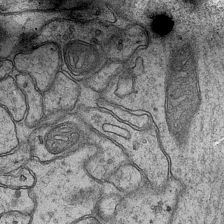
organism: Mouse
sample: CA1 Hippocampus